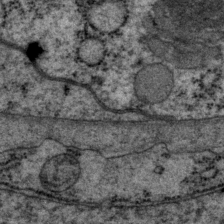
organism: P. pacificus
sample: Pharynx